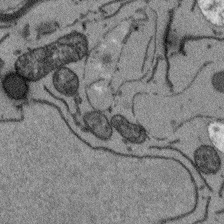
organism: Arabidopsis thaliana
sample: Root tip